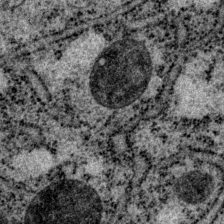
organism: P. pacificus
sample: Pharynx